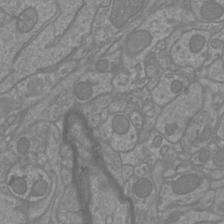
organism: Mouse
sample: Cortical neurons